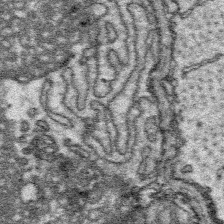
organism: Platynereis dumerilii